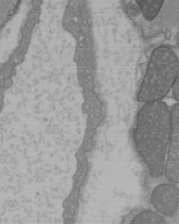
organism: C57BL Mouse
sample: Heart